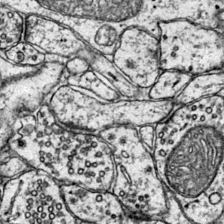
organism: Mouse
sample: Primary visual cortex